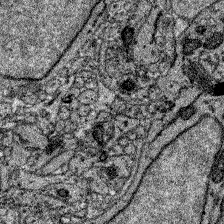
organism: Zebrafish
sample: Larval olfactory bulb